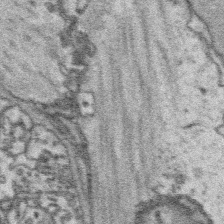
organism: Platynereis dumerilii